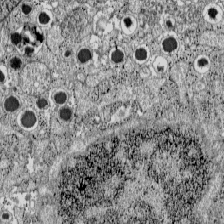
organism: C57BL Mouse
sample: Pancreatic islet